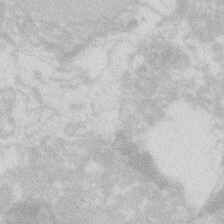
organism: Zebrafish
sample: Macrophage